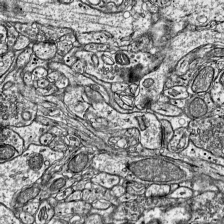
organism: Mouse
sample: Visual Cortex